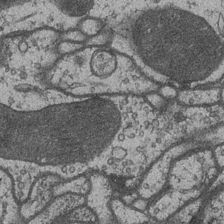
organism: Drosophila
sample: Optic medulla